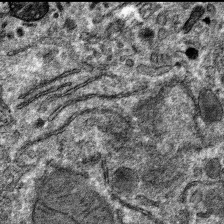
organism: Mouse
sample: Mouse hepatocytes